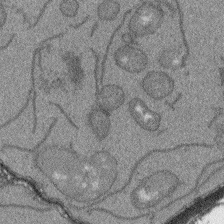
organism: Arabidopsis thaliana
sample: Root tip